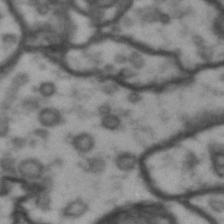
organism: Drosophila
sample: Brain